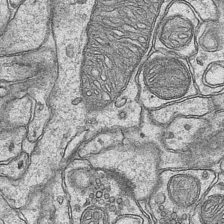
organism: Mouse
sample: CA1 Hippocampus